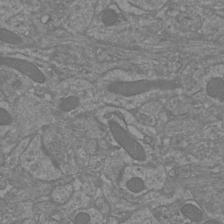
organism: Mouse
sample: Cortical neurons